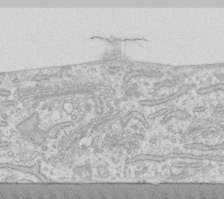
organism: Human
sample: Fibroblast cells